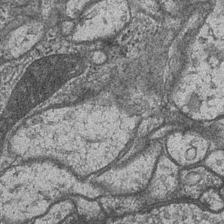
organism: Drosophila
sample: Optic medulla